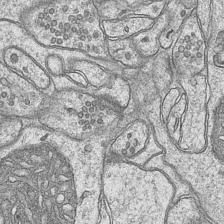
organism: Mouse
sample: CA1 Hippocampus